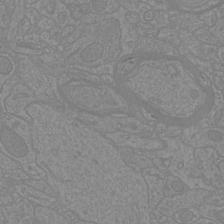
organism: Mouse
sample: Cortical neurons